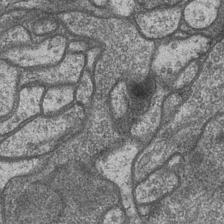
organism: Drosophila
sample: Optic medulla